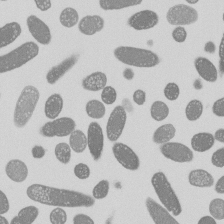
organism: E. coli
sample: Bacterial nucleoid